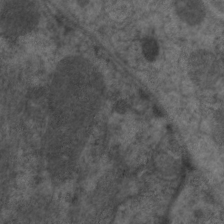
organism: C. elegans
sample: Pharynx